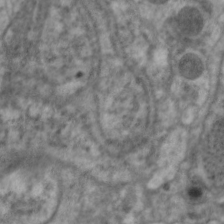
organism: C. elegans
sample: Pharynx